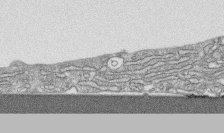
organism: Human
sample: CRL-1474